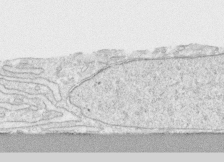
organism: Human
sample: CRL-1474